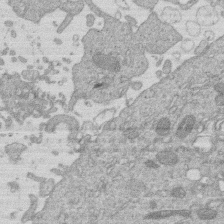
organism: Human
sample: Macrophage cells